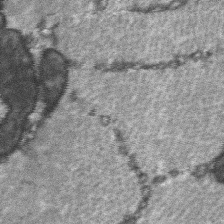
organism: C57BL Mouse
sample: Soleus